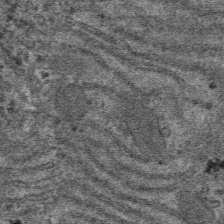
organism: Mouse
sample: Mouse hepatocytes